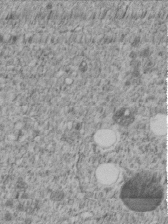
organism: C. elegans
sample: C. elegans embryo early stage